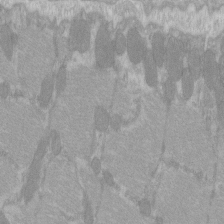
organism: C57BL Mouse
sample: Tibialis anterior muscle cell